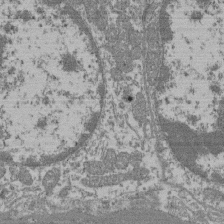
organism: Mouse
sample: Glomerulus